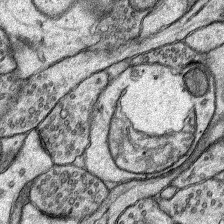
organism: Rat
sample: Hippocampus